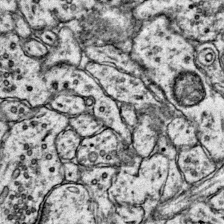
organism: Mouse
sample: Primary visual cortex